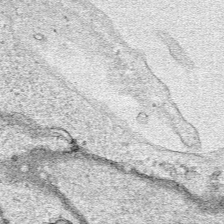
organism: Human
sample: Mitochondria in HCT116 cells